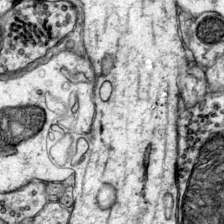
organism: Mouse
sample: Primary visual cortex